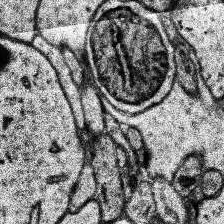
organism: Human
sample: Temporal Lobe